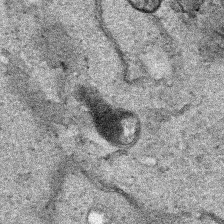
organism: Human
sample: Mitochondria in HCT116 cells